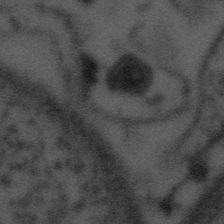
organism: Tuwongella immobilis